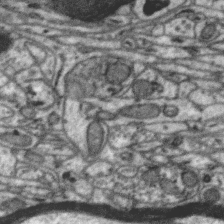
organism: Zebra finch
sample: Brain